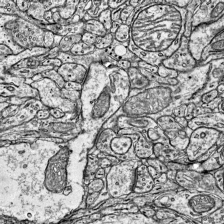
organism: Mouse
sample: Visual Cortex